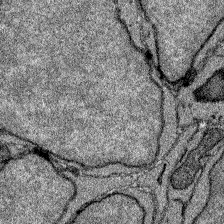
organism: Zebrafish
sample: Larval olfactory bulb